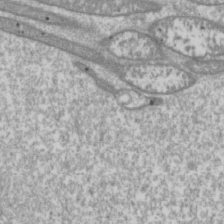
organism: Drosophila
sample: Cell division; meiosis; drosophila spermatocytes